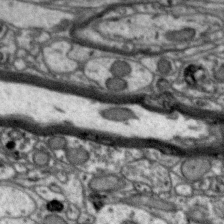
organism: Zebra finch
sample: Brain